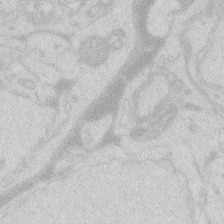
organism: Zebrafish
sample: Macrophage